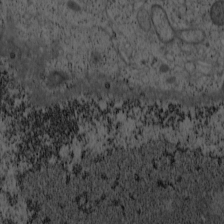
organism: African green monkey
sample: COS-7 cells